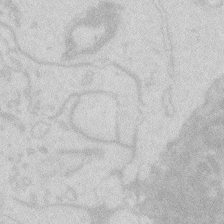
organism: Zebrafish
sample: Macrophage